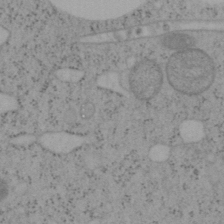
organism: Mouse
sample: OT-I killer T cells with ID8 ovarian cancer cells